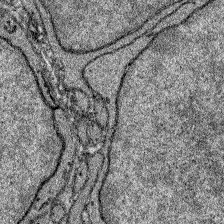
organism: Zebrafish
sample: Larval olfactory bulb